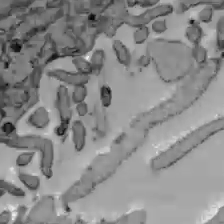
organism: C57BL Mouse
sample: Liver